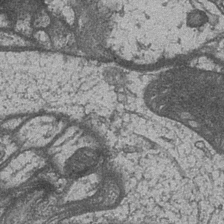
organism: Drosophila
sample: Optic medulla